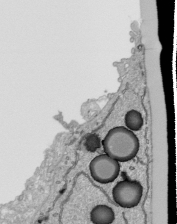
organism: Human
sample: Mitochondria in HCT116 cells